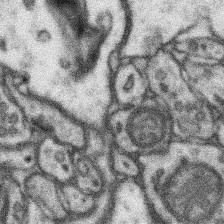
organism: Mouse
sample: Somatosensory cortex neuropil